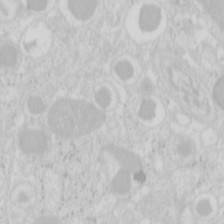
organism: Mouse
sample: Pancreas